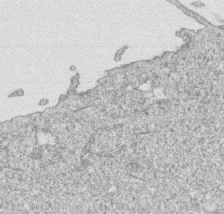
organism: Human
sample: HeLa cell HIV synapse